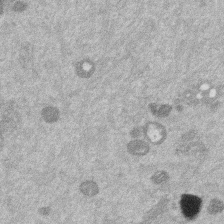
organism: Mouse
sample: Dividing mouse embryo 1 cell stage